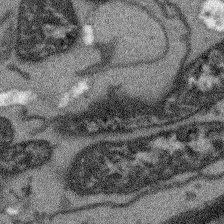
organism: Arabidopsis thaliana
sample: Root tip